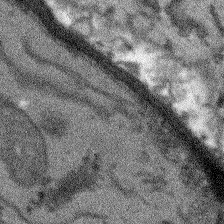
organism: Arabidopsis thaliana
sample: Root tip